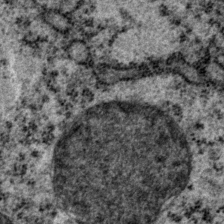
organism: P. pacificus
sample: Pharynx